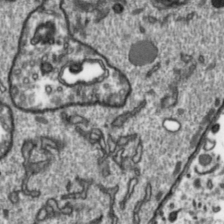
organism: Toxoplasma gondii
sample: Parasites in a vacuole inside a host cell